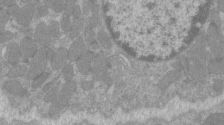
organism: C57BL Mouse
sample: Tibialis anterior muscle cell